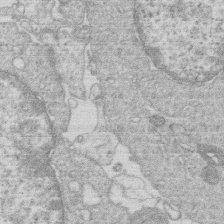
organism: Human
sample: Macrophage cells